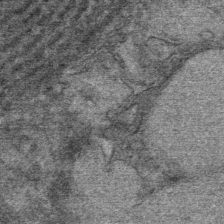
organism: Mouse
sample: Mouse Salivary gland